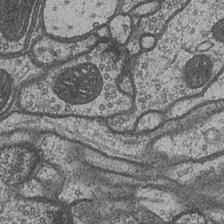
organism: Drosophila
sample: Optic medulla